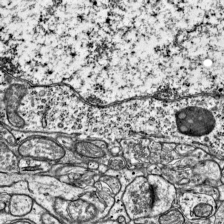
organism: Mouse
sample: Visual Cortex